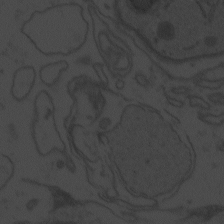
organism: Zebrafish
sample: Macrophage infected with Toxoplasma gondii